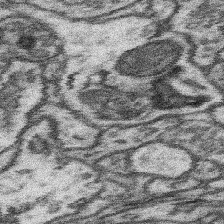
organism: Mouse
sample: Somatosensory cortex neuropil